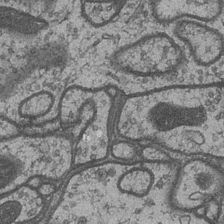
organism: Drosophila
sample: Optic medulla